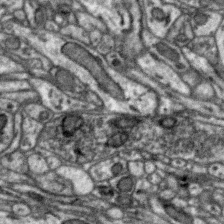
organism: Zebra finch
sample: Brain